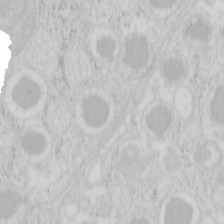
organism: Mouse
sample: Pancreas